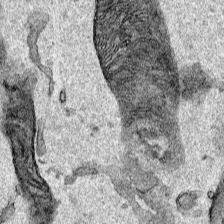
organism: Human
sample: Mitochondria in HCT116 cells